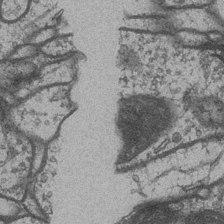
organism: Drosophila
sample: Optic medulla